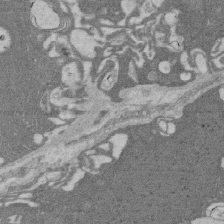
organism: Rat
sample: Salivary granule